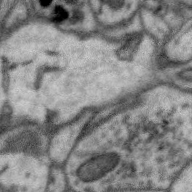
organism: Zebra finch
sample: Brain